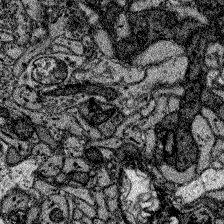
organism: Zebrafish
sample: Larval olfactory bulb